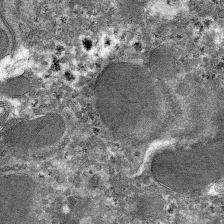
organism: Mouse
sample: Mouse hepatocytes